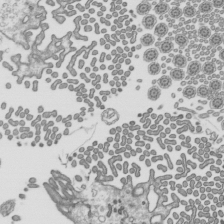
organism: Mouse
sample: Mouse epididymis efferent ductule cilia